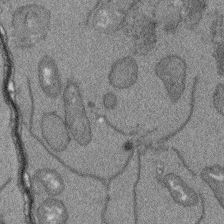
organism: Arabidopsis thaliana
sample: Root tip